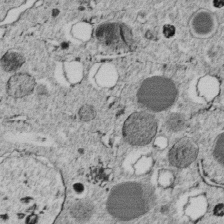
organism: C. elegans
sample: C. elegans embryo early stage